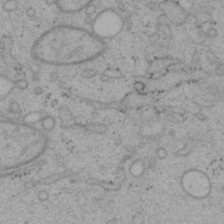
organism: Human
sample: HeLa cells